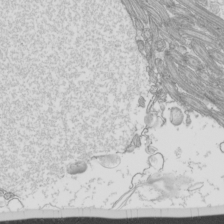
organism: Mouse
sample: Cilia; mouse epididymis